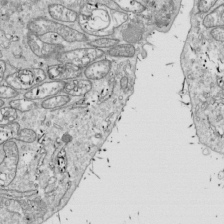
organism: Drosophila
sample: Cell division; meiosis; drosophila spermatocytes